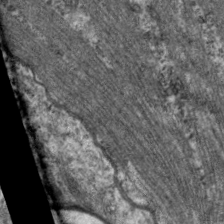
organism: C. elegans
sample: Pharynx